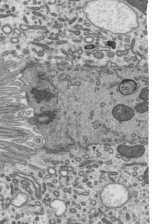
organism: Mouse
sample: Mouse epididymis efferent ductule cilia